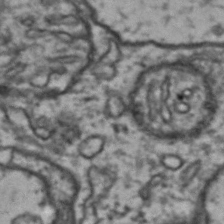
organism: Drosophila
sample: Brain